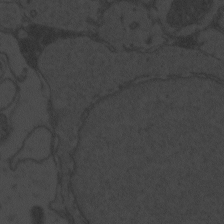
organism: Zebrafish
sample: Macrophage infected with Toxoplasma gondii